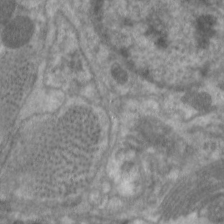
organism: C. elegans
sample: Pharynx